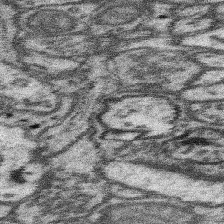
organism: Mouse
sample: Somatosensory cortex neuropil